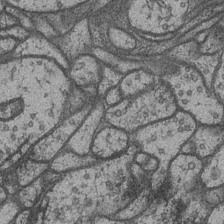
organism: Drosophila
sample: Optic medulla